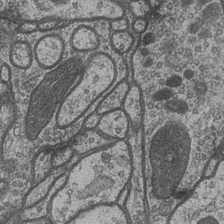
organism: Drosophila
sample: Optic medulla